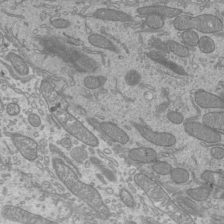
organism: Mouse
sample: Cilia; mouse epididymis